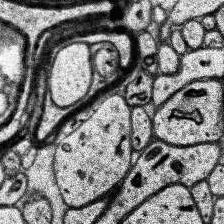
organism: Human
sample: Temporal Lobe